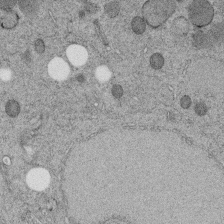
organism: C. elegans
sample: C. elegans embryo early stage